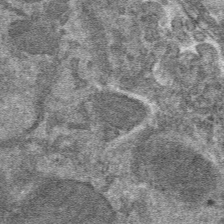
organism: Mouse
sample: Mouse hepatocytes